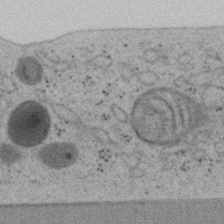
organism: Human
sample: HeLa cells